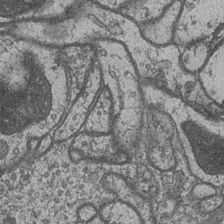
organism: Drosophila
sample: Optic medulla